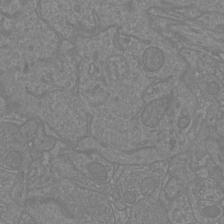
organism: Mouse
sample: Cortical neurons